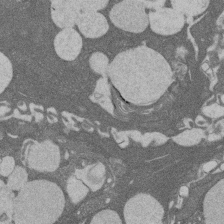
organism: Rat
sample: Salivary granule